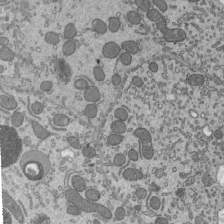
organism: Mouse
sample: Mouse epididymis efferent ductule cilia